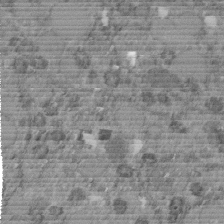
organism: C. elegans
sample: C. elegans embryo early stage